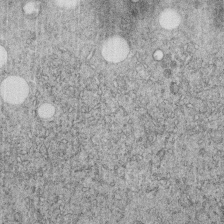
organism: C. elegans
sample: C. elegans embryo early stage